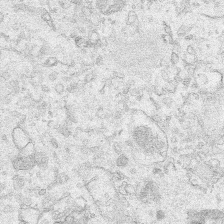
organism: Human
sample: Mitochondria in HCT116 cells